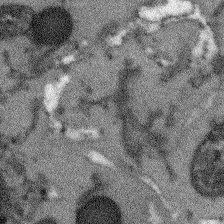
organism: Arabidopsis thaliana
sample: Root tip